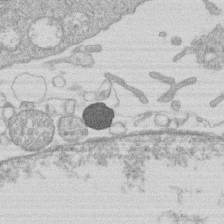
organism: Human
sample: Macrophage cells